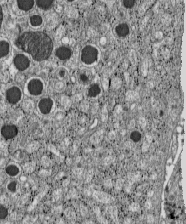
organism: C57BL Mouse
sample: Pancreatic islet